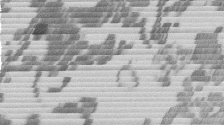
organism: Mouse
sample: Dividing mouse embryo 1 cell stage